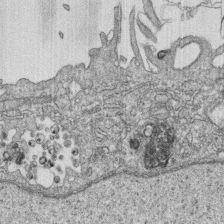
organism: Human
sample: HeLa cell HIV synapse